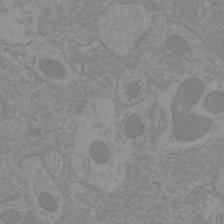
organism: Mouse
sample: Cortical neurons